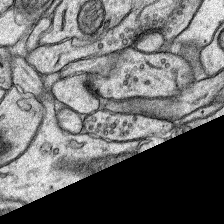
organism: Rat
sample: Hippocampus